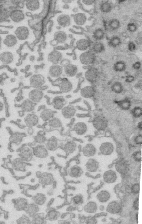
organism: Mouse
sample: Multiciliated cells